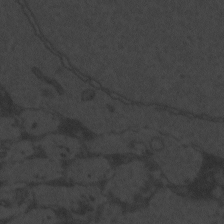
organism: Zebrafish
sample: Macrophage infected with Toxoplasma gondii